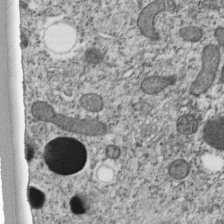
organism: C. elegans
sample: C. elegans embryo early stage